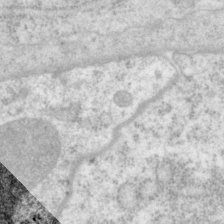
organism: P. pacificus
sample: Pharynx